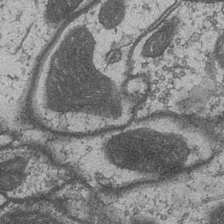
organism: Drosophila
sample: Optic medulla